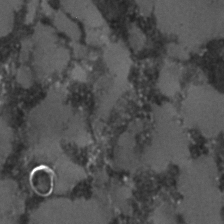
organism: C. elegans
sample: C. elegans embryo